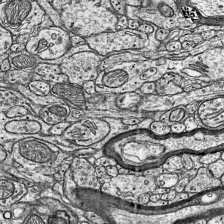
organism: Mouse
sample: Visual Cortex